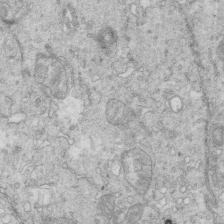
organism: Mouse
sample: Multiciliated cells